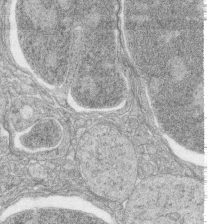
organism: Zebrafish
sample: synaptic ribbons in rod cells and cone cells